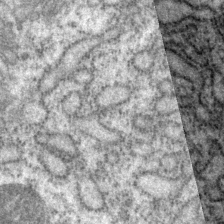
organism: P. pacificus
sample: Pharynx